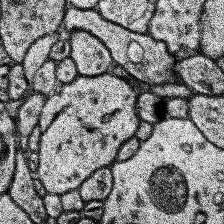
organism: Human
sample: Temporal Lobe